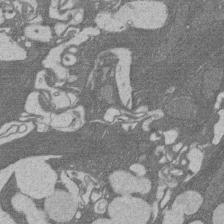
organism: Rat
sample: Salivary granule